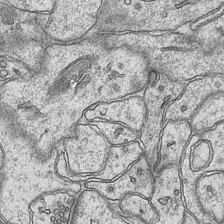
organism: Mouse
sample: CA1 Hippocampus